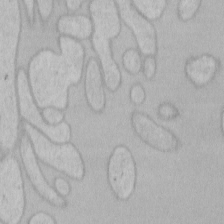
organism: Human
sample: HeLa cells